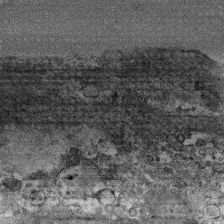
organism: Human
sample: CRL-1474